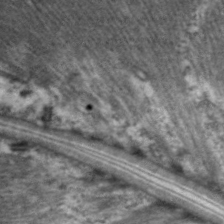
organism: C. elegans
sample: Pharynx